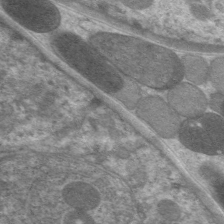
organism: C. elegans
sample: Pharynx